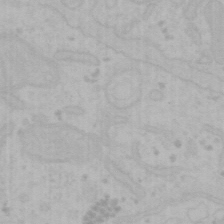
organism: Mouse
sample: Choroid plexus